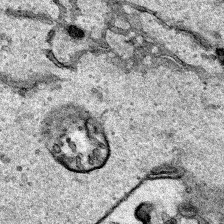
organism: Human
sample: Mitochondria in HCT116 cells